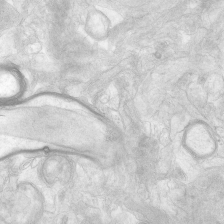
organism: Human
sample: Neocortex